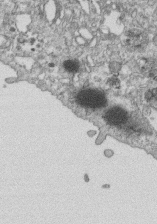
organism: Human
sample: HeLa cell HIV synapse